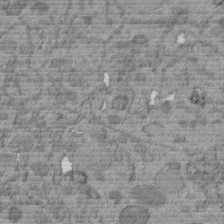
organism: C. elegans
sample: C. elegans embryo early stage